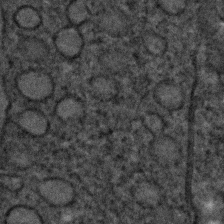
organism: C. elegans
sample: C. elegans embryo